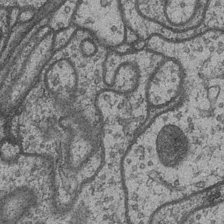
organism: Drosophila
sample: Optic medulla